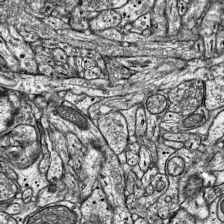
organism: Mouse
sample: Visual Cortex